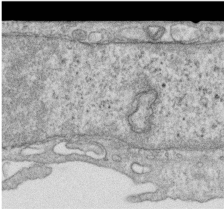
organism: Human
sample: Centriole in RPE cells